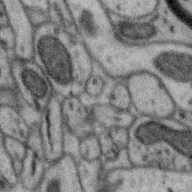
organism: Zebra finch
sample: Brain